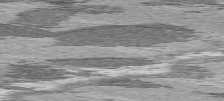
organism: C57BL Mouse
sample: Heart